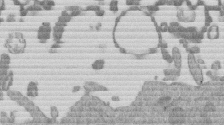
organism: Mouse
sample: Dividing mouse embryo 1 cell stage